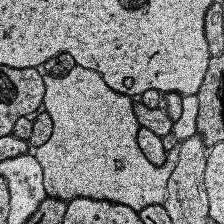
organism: Human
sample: Temporal Lobe